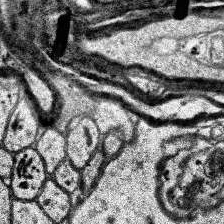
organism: Human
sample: Temporal Lobe